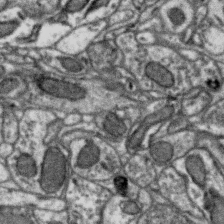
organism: Zebra finch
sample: Brain